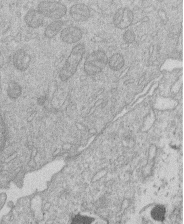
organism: Human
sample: Macrophage cells